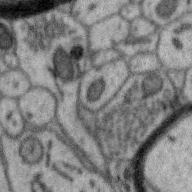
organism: Zebra finch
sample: Brain